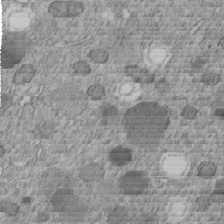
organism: C. elegans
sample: C. elegans embryo early stage